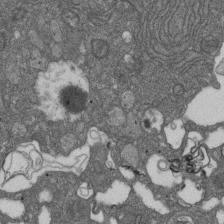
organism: Drosophila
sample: Nephrocyte